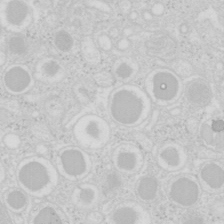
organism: Mouse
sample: Pancreas